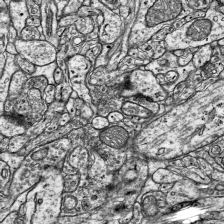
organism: Mouse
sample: Visual Cortex